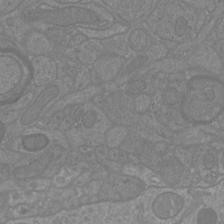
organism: Mouse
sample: Cortical neurons